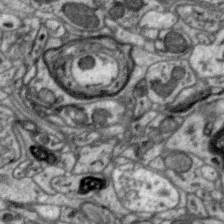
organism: Zebra finch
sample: Brain